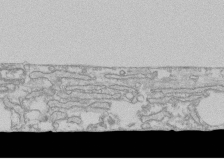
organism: Human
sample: CRL-1474